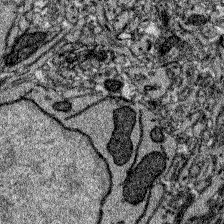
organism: Zebrafish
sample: Larval olfactory bulb